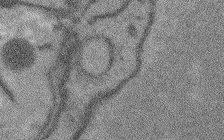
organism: Arabidopsis thaliana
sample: Root tip